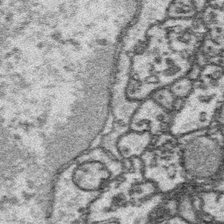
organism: Platynereis dumerilii